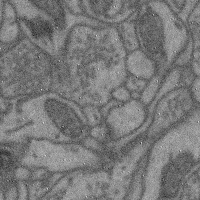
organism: Mouse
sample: Cerebral cortex